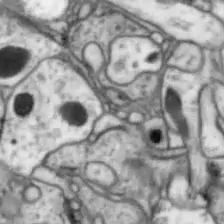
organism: Drosophila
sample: Optic lobe